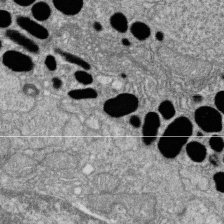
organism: Zebrafish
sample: Cilia; retinal pigment epithelium